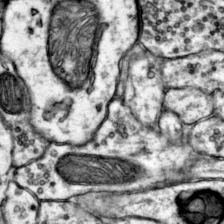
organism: Mouse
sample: Primary visual cortex